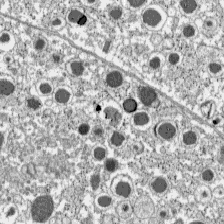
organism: C57BL Mouse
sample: Pancreatic islet